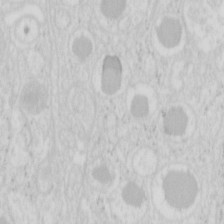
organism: Mouse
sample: Pancreas